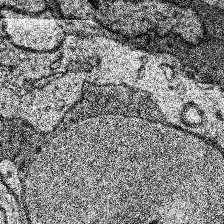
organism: Human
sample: Temporal Lobe